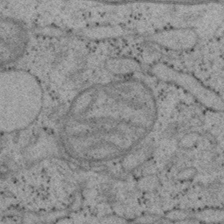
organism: Human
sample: HeLa cells